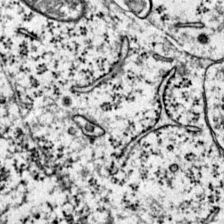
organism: Mouse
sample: Primary visual cortex